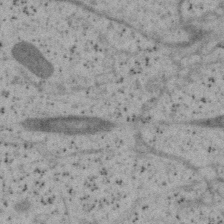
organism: Human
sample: HeLa cells